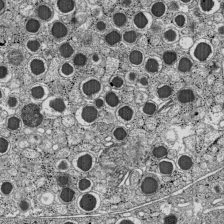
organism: C57BL Mouse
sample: Pancreatic islet